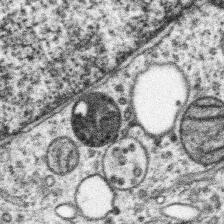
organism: Human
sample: HeLa cells